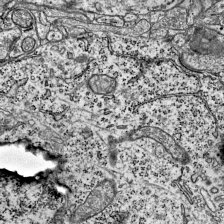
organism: Mouse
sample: Visual Cortex